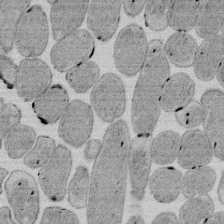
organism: E. coli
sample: Bacterial nucleoid